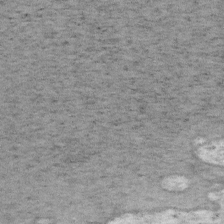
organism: Mouse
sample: OT-I killer T cells with ID8 ovarian cancer cells